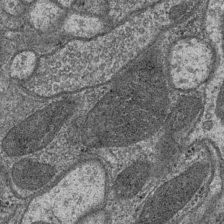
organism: Drosophila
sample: Optic medulla